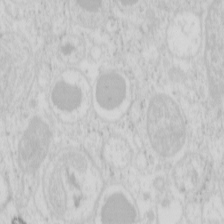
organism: Mouse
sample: Pancreas